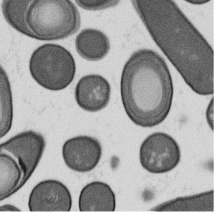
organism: B. subtilis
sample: Bacterial spore